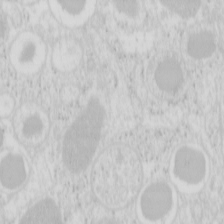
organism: Mouse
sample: Pancreas